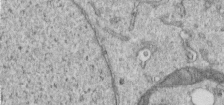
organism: Human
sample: Centriole in RPE cells